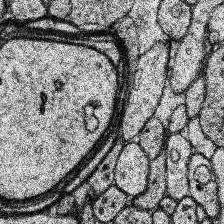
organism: Human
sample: Temporal Lobe